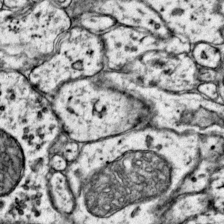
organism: Mouse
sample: Primary visual cortex